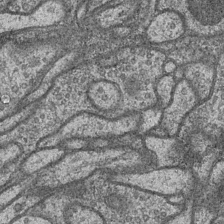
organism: Drosophila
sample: Optic medulla